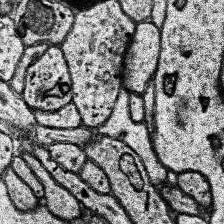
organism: Human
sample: Temporal Lobe